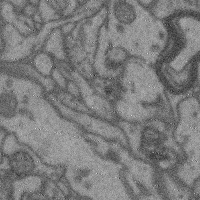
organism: Mouse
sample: Cerebral cortex